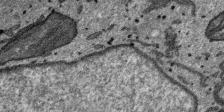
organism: Human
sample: Lung epithelial cells, uninfected (mock) control